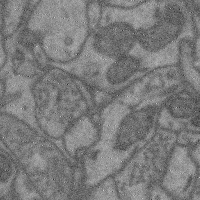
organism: Mouse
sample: Cerebral cortex